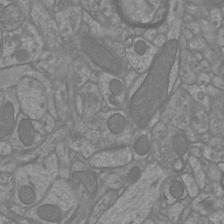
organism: Mouse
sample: Cortical neurons